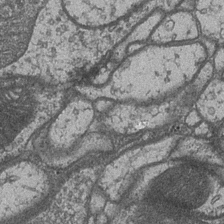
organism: Drosophila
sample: Optic medulla